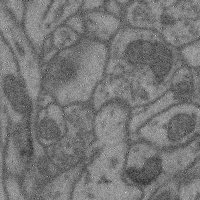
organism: Mouse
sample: Cerebral cortex